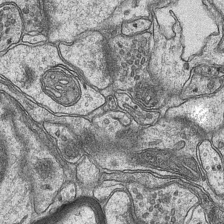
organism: Mouse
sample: CA1 Hippocampus